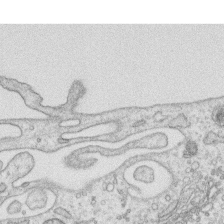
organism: Human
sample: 1205lu cells